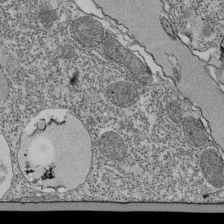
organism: Tetrahymena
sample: Cilia in tetrahymena